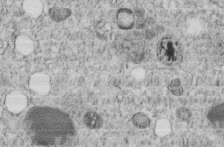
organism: C. elegans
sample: C. elegans embryo early stage